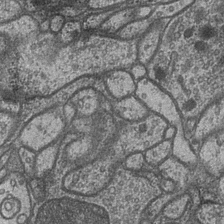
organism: Drosophila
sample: Optic medulla